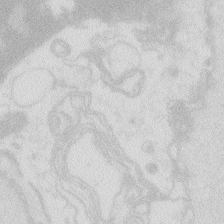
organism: Zebrafish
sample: Macrophage